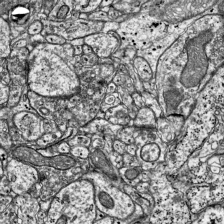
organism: Mouse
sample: Visual Cortex